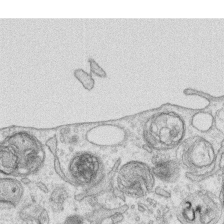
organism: Human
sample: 1205lu cells